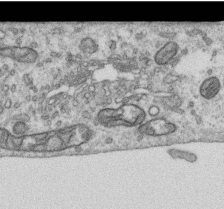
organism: Human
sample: Centriole in RPE cells